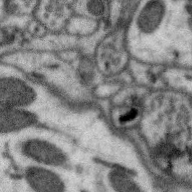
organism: Zebra finch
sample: Brain